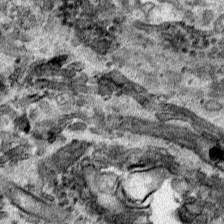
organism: Human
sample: Mitochondria in HCT116 cells